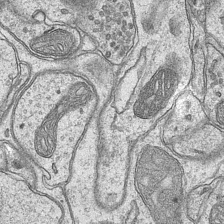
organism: Mouse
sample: CA1 Hippocampus